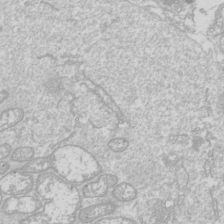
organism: Drosophila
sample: Cell division; meiosis; drosophila spermatocytes